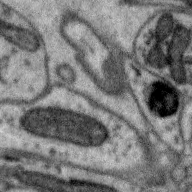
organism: Zebra finch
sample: Brain